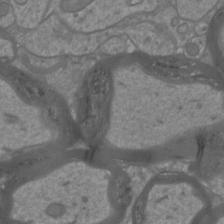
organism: Mouse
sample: Cortical neurons